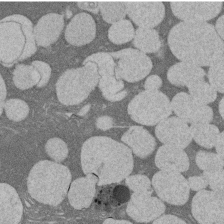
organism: Rat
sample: Salivary granule